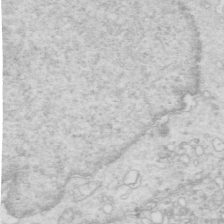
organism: Mouse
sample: Multiciliated cells